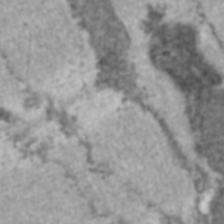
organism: C57BL Mouse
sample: Heart